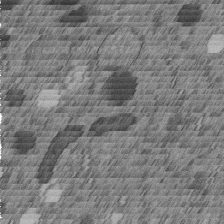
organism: C. elegans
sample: C. elegans embryo early stage